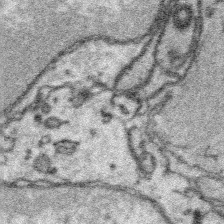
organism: Platynereis dumerilii